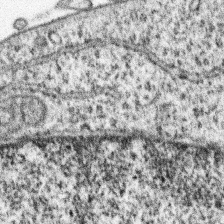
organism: Human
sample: HeLa cells